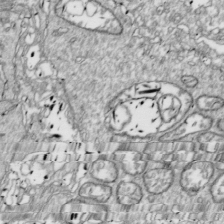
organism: Drosophila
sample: Cell division; meiosis; drosophila spermatocytes